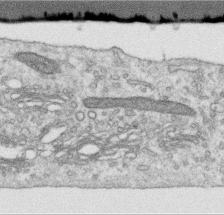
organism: Human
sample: Centriole in RPE cells